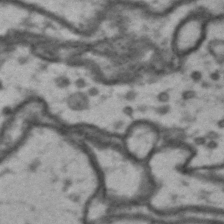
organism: Drosophila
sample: Brain